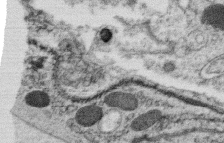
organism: C. elegans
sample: C. elegans oocyte; sperm cells